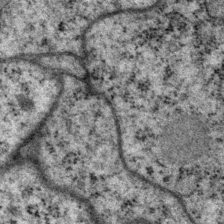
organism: P. pacificus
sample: Pharynx